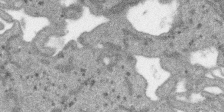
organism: Human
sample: Lung epithelial cells infected with SARS-CoV-2